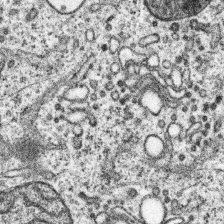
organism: Human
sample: HeLa cells